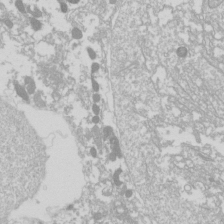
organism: Drosophila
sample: Cell division; meiosis; drosophila spermatocytes